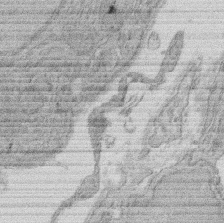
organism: Rat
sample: Salivary granule